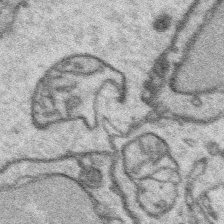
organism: Platynereis dumerilii